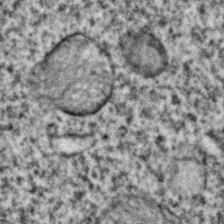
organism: C. elegans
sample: C. elegans embryo